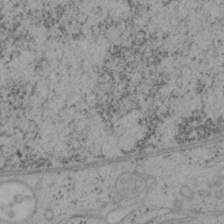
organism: Human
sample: HeLa cells